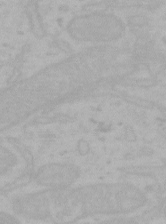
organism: Mouse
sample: Choroid plexus